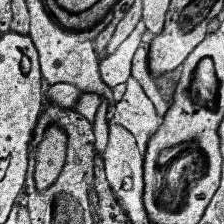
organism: Human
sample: Temporal Lobe